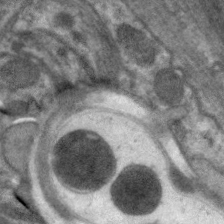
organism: C. elegans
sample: Pharynx